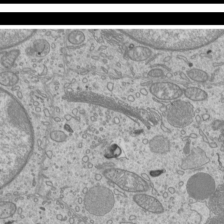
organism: Mouse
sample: Cilia; mouse epididymis